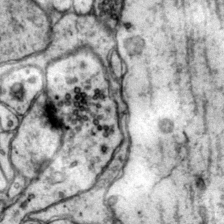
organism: Mouse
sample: Primary visual cortex